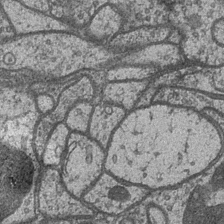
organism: Drosophila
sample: Optic medulla